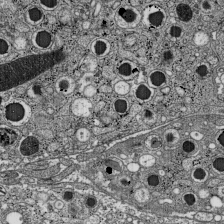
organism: C57BL Mouse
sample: Pancreatic islet